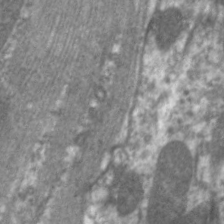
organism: C. elegans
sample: Pharynx